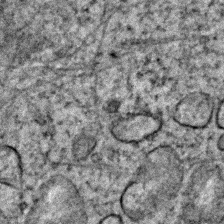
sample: Trachea